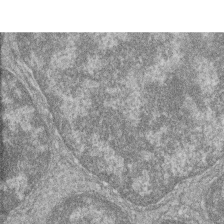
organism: Zebrafish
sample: Cilia; retinal pigment epithelium